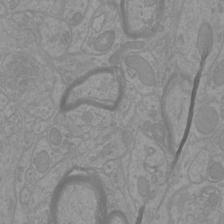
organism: Mouse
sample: Cortical neurons